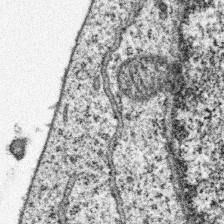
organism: Human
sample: HeLa cells